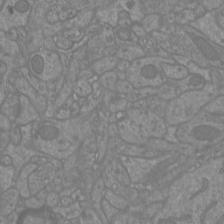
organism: Mouse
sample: Cortical neurons